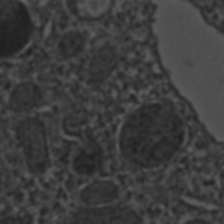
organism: C. elegans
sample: C. elegans embryo